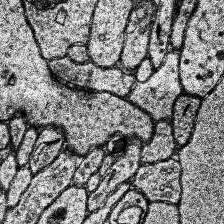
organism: Human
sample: Temporal Lobe